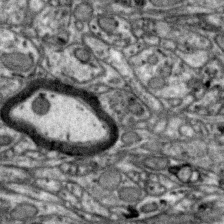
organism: Zebra finch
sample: Brain